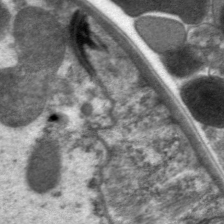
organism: C. elegans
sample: Pharynx